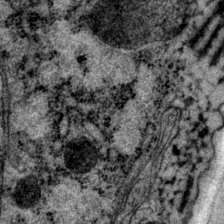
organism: P. pacificus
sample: Pharynx